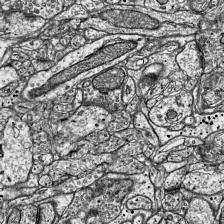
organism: Mouse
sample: Visual Cortex